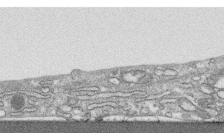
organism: Human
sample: CRL-1474